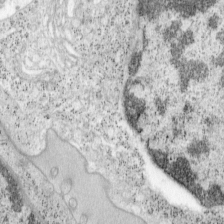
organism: Mouse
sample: OT-I killer T cells with ID8 ovarian cancer cells